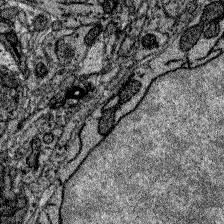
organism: Zebrafish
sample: Larval olfactory bulb